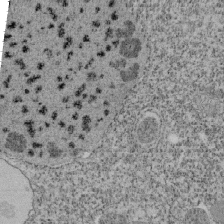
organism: Tetrahymena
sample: Cilia in tetrahymena